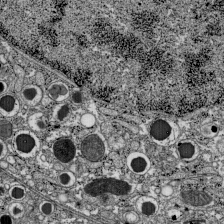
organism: C57BL Mouse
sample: Pancreatic islet